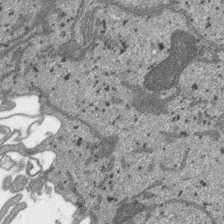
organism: Human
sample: Lung epithelial cells infected with SARS-CoV-2